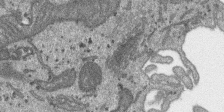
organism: Human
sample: Lung epithelial cells infected with SARS-CoV-2